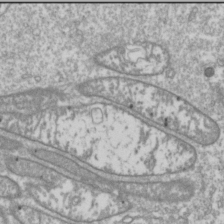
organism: Drosophila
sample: Cell division; meiosis; drosophila spermatocytes